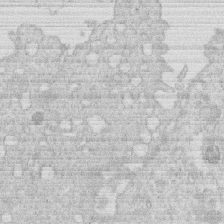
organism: Human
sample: Macrophage cells